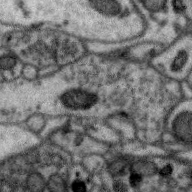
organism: Zebra finch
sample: Brain